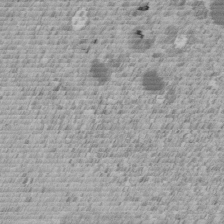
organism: C. elegans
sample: C. elegans embryo early stage